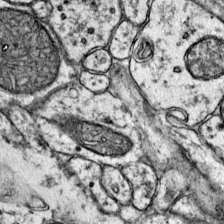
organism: Mouse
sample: Primary visual cortex